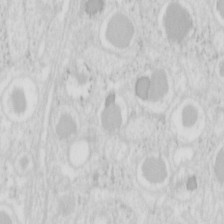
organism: Mouse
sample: Pancreas